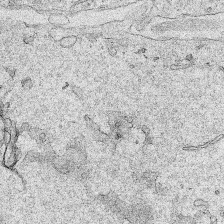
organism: Human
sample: Mitochondria in HCT116 cells